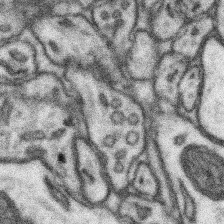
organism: Mouse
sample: Somatosensory cortex neuropil